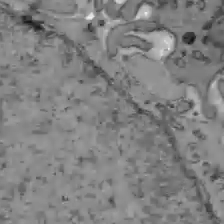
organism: C57BL Mouse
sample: Liver